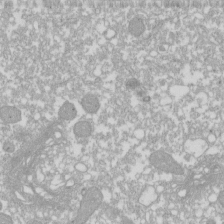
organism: Xenopus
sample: Cilia; centrioles in frog embryo cells